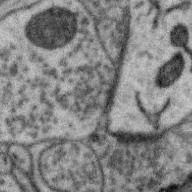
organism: Zebra finch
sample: Brain